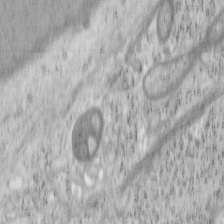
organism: Human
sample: HeLa cells